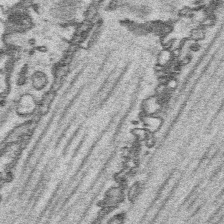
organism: Platynereis dumerilii